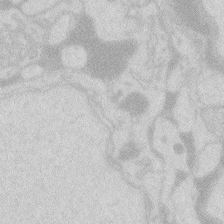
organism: Zebrafish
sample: Macrophage